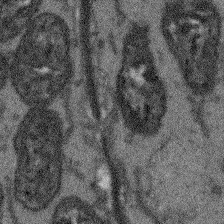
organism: Arabidopsis thaliana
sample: Root tip